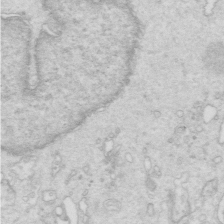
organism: Mouse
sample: Multiciliated cells